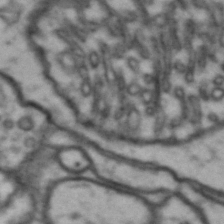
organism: Drosophila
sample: Brain